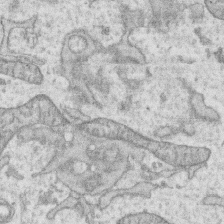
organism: Human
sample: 1205lu cells